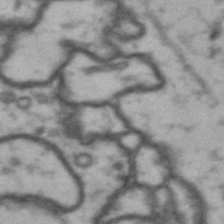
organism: Drosophila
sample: Brain